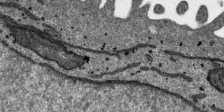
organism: Human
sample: Lung epithelial cells, uninfected (mock) control